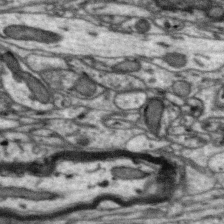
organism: Zebra finch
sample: Brain